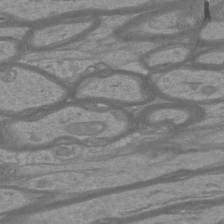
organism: Mouse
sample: Cortical neurons